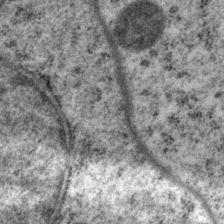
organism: P. pacificus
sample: Pharynx